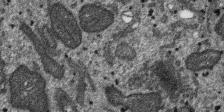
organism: Human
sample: Lung epithelial cells infected with SARS-CoV-2